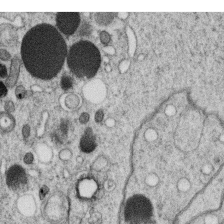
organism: C. elegans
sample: C. elegans oocyte; sperm cells